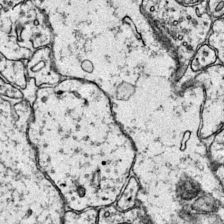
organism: Mouse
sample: Primary visual cortex